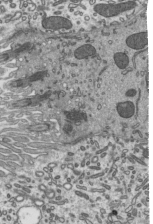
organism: Mouse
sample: Mouse epididymis efferent ductule cilia